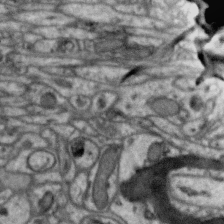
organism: Zebra finch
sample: Brain